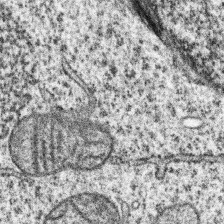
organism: Human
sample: HeLa cells